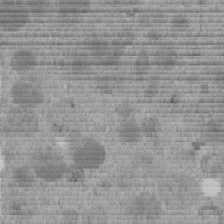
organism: C. elegans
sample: C. elegans embryo early stage